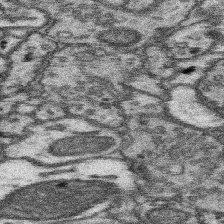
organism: Mouse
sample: Somatosensory cortex neuropil